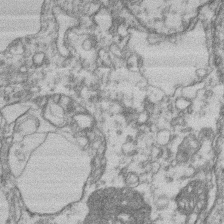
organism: Mouse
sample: T cell stromal cell synapse